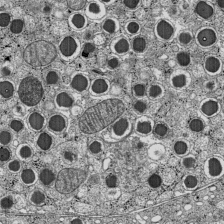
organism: C57BL Mouse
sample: Pancreatic islet